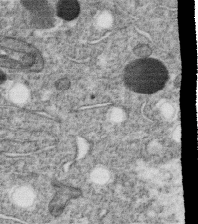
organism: C. elegans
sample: C. elegans oocyte; sperm cells